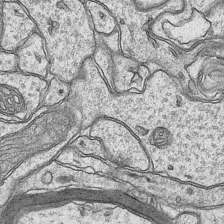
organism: Mouse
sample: CA1 Hippocampus